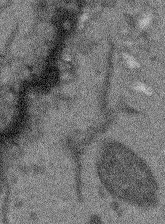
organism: Arabidopsis thaliana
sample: Root tip